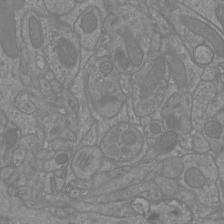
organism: Mouse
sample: Cortical neurons